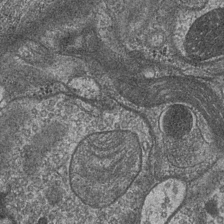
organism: Drosophila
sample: Optic medulla